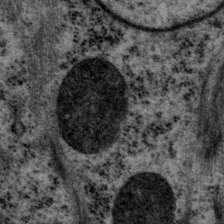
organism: P. pacificus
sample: Pharynx